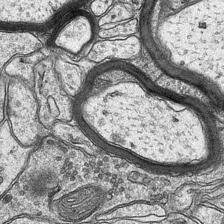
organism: Mouse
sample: CA1 Hippocampus